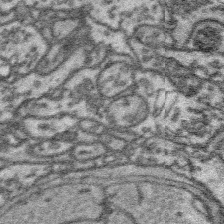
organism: Platynereis dumerilii